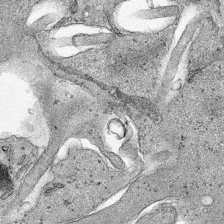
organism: Human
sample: Mitochondria in HCT116 cells